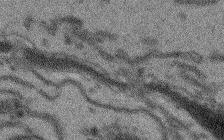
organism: Arabidopsis thaliana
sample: Root tip